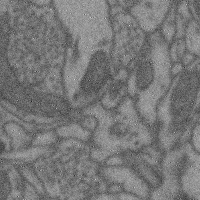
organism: Mouse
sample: Cerebral cortex